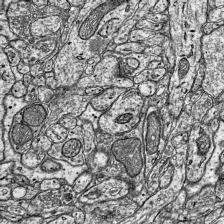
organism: Mouse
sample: Visual Cortex